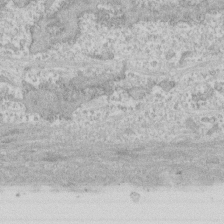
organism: Human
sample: CRL-1474